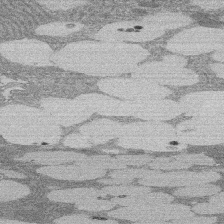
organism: Rat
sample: Salivary granule